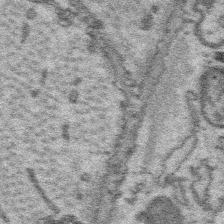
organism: Platynereis dumerilii